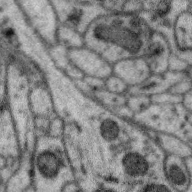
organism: Zebra finch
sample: Brain